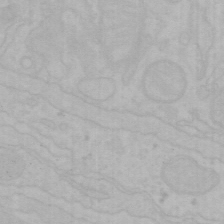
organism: Mouse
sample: Choroid plexus